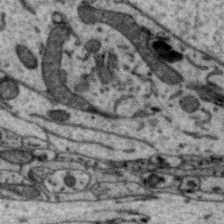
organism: Zebra finch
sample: Brain